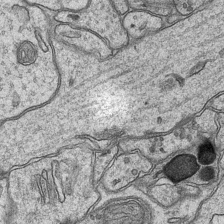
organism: Mouse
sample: CA1 Hippocampus